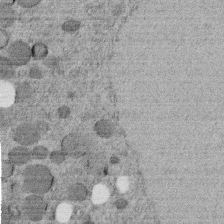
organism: C. elegans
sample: C. elegans embryo early stage